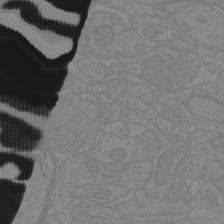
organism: Mouse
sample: Cortical neurons